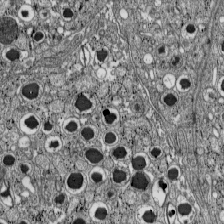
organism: C57BL Mouse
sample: Pancreatic islet